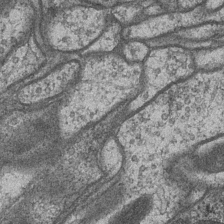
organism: Drosophila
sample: Optic medulla